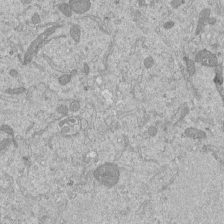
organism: Mouse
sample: ED-1 cell nuclei; centrioles